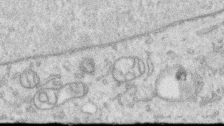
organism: Human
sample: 1205lu cells